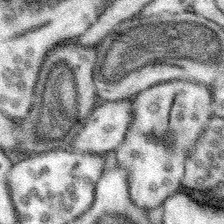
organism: Mouse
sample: Somatosensory cortex neuropil